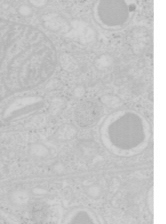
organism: Mouse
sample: Pancreas